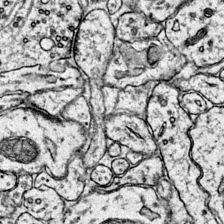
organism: Mouse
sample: Primary visual cortex